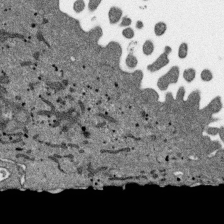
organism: Human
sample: Lung epithelial cells, uninfected (mock) control